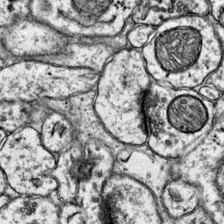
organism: Mouse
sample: Primary visual cortex